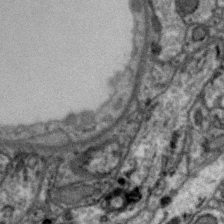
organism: Zebra finch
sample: Brain